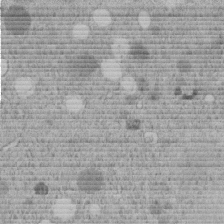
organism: C. elegans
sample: C. elegans embryo early stage